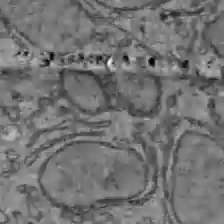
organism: C57BL Mouse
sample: Liver